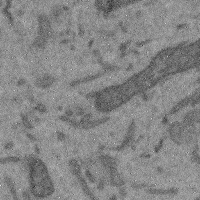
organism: Mouse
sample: Cerebral cortex